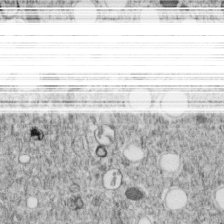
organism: C. elegans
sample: C. elegans embryo early stage